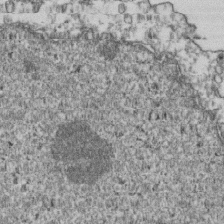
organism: Human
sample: Activated Jurkat CD4+ T cells